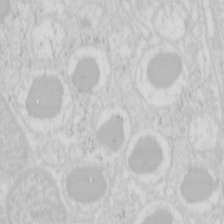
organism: Mouse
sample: Pancreas